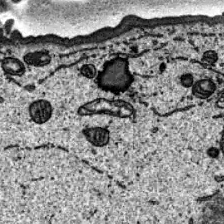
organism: Human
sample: HeLa cells